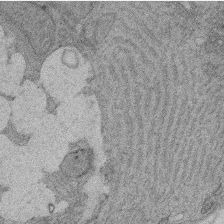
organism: Rat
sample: Salivary granule